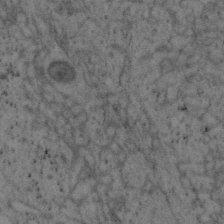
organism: Human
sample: HeLa cells